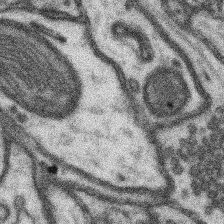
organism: Mouse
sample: Somatosensory cortex neuropil